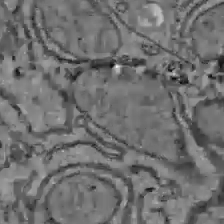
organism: C57BL Mouse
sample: Liver